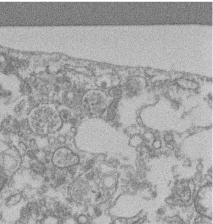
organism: Mouse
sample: T cell stromal cell synapse